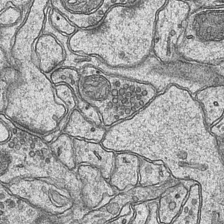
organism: Mouse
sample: CA1 Hippocampus